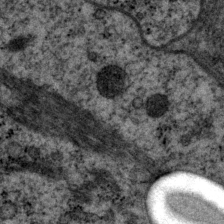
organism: P. pacificus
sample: Pharynx